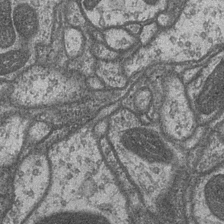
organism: Drosophila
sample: Optic medulla